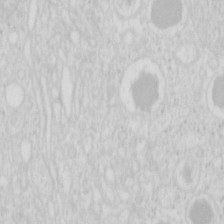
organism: Mouse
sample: Pancreas